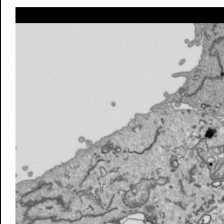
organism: Human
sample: Mitochondria in HCT116 cells